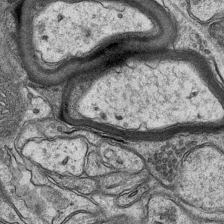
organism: Mouse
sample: CA1 Hippocampus